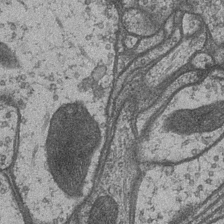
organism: Drosophila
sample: Optic medulla